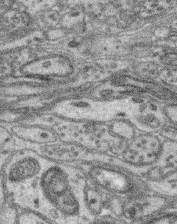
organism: Mouse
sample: Retina